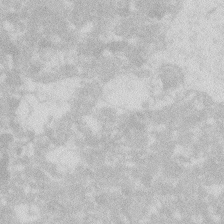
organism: Zebrafish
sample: Macrophage